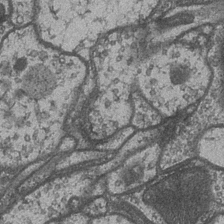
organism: Drosophila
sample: Optic medulla